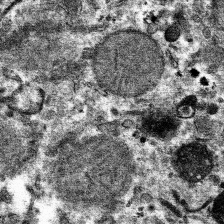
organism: Mouse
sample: Mouse hepatocytes